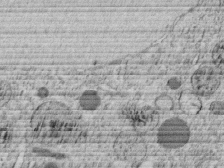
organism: C. elegans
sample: C. elegans embryo early stage